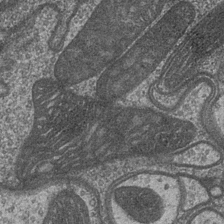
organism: Drosophila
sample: Optic medulla